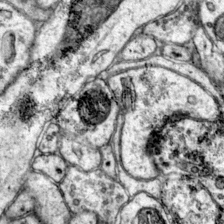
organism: Mouse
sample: Primary visual cortex